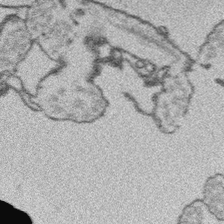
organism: Platynereis dumerilii